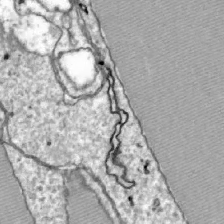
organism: Zebrafish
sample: Actinotrichia fibers